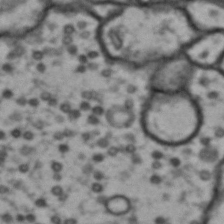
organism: Drosophila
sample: Brain